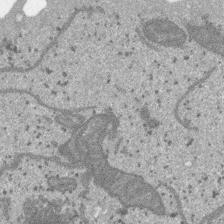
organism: Human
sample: Lung epithelial cells infected with SARS-CoV-2